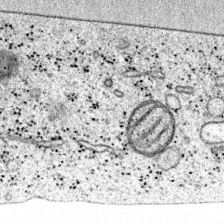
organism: Human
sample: HeLa cells